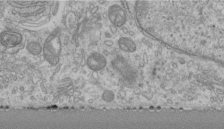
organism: Human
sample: Centriole in RPE cells